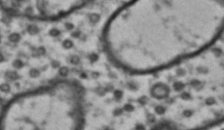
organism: Drosophila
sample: Brain